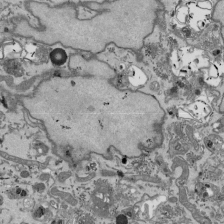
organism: Mouse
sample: ED-1 cell nuclei; centrioles